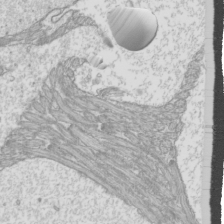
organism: Mouse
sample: Cilia; mouse epididymis